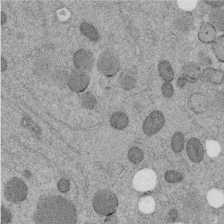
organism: C. elegans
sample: C. elegans embryo early stage